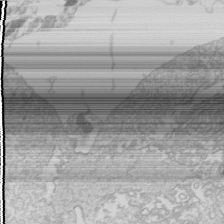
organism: Drosophila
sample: Cell division; meiosis; drosophila spermatocytes